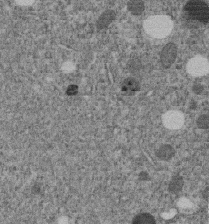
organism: C. elegans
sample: C. elegans embryo early stage